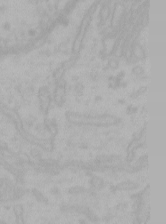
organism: Mouse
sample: Choroid plexus